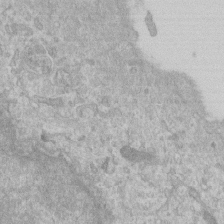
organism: Human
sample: Centriole in RPE cells